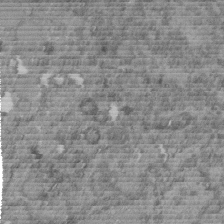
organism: C. elegans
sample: C. elegans embryo early stage